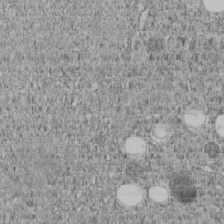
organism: C. elegans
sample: C. elegans embryo early stage